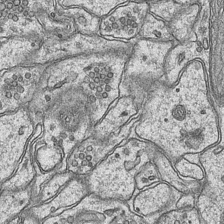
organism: Mouse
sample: CA1 Hippocampus